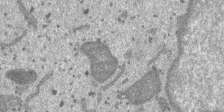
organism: Human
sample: Lung epithelial cells infected with SARS-CoV-2